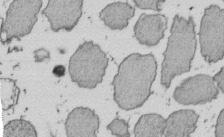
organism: E. coli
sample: Bacterial nucleoid